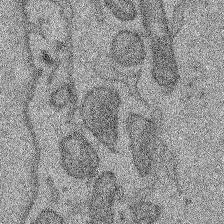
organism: Human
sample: HeLa cells